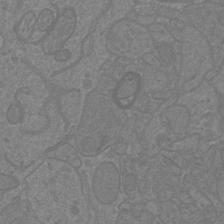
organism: Mouse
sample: Cortical neurons